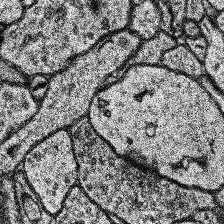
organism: Human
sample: Temporal Lobe